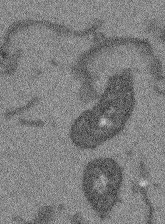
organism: Arabidopsis thaliana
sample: Root tip